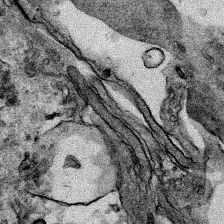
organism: Human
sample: Mitochondria in HCT116 cells